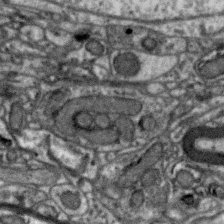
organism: Zebra finch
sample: Brain